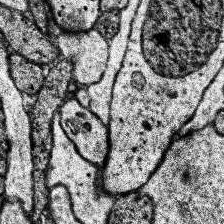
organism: Human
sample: Temporal Lobe